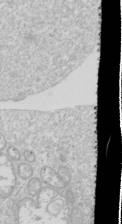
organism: Drosophila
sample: Cell division; meiosis; drosophila spermatocytes